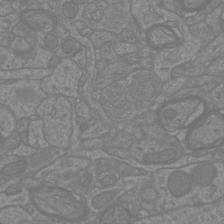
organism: Mouse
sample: Cortical neurons